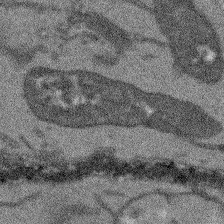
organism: Arabidopsis thaliana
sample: Root tip